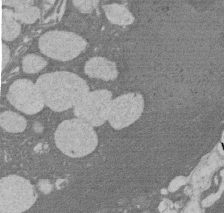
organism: Rat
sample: Salivary granule